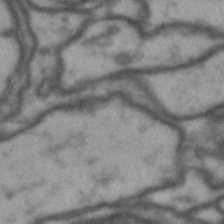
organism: Drosophila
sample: Brain